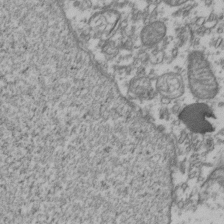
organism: Human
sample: Activated Jurkat CD4+ T cells